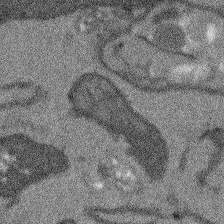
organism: Arabidopsis thaliana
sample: Root tip